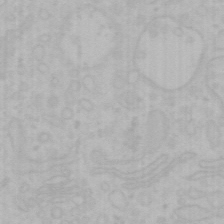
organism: Mouse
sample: Choroid plexus